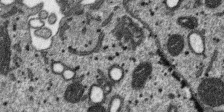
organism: Human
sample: Lung epithelial cells infected with SARS-CoV-2